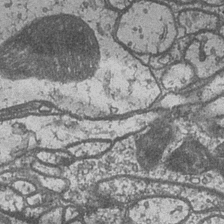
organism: Drosophila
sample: Optic medulla